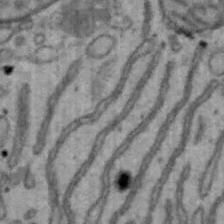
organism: Mouse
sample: Liver